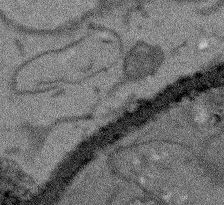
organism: Arabidopsis thaliana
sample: Root tip